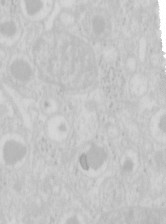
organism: Mouse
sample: Pancreas